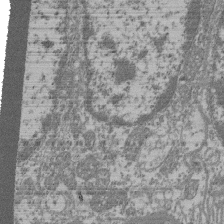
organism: Mouse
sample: Glomerulus